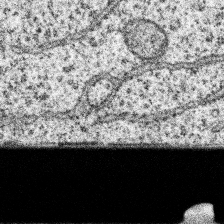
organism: Human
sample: HeLa cells